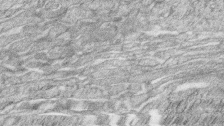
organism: Zebrafish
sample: synaptic ribbons in rod cells and cone cells